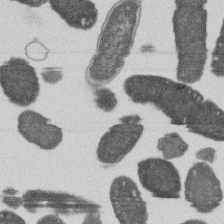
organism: E. coli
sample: Bacterial nucleoid